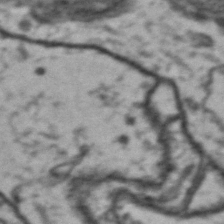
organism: Drosophila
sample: Brain